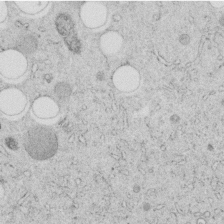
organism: C. elegans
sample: C. elegans embryo early stage